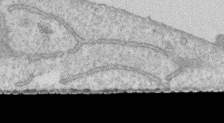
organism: Human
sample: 1205lu cells